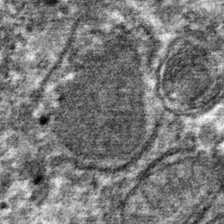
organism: Mouse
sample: Mouse hepatocytes